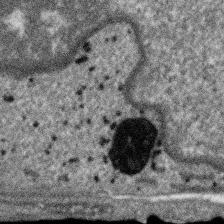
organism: Human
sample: Lung epithelial cells infected with SARS-CoV-2